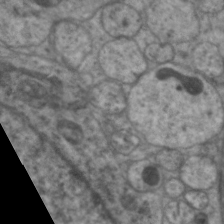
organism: C. elegans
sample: Pharynx